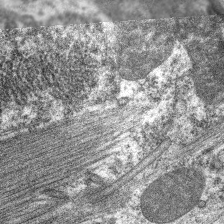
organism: C. elegans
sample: Pharynx